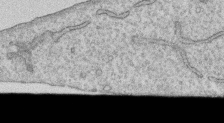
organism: Human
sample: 1205lu cells